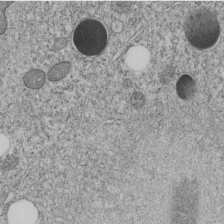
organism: C. elegans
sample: C. elegans embryo early stage